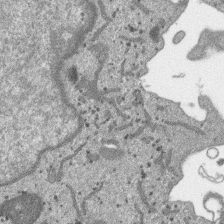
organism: Human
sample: Lung epithelial cells infected with SARS-CoV-2